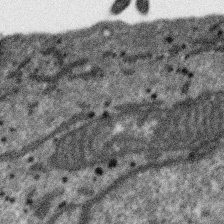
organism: Human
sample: Lung epithelial cells infected with SARS-CoV-2